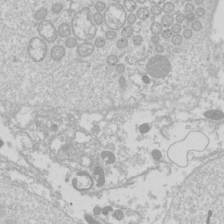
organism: Drosophila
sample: Cell division; meiosis; drosophila spermatocytes